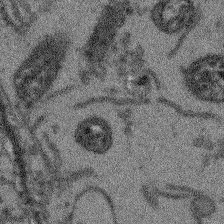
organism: Arabidopsis thaliana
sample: Root tip